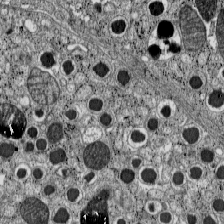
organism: C57BL Mouse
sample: Pancreatic islet